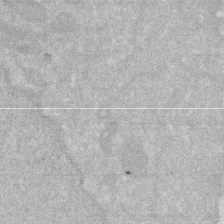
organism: Human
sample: HIV infected U937 cells